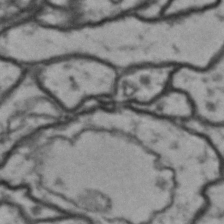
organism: Drosophila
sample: Brain